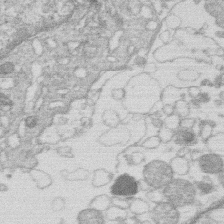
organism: Human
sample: Macrophage cells